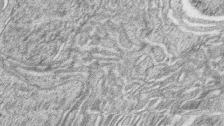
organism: Zebrafish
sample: synaptic ribbons in rod cells and cone cells